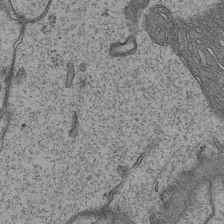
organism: Mouse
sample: CA1 Hippocampus